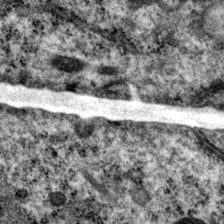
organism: P. pacificus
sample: Pharynx